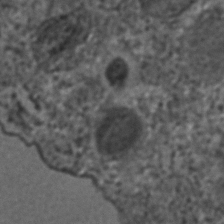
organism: C. elegans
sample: C. elegans embryo